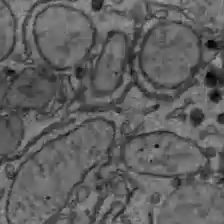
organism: C57BL Mouse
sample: Liver